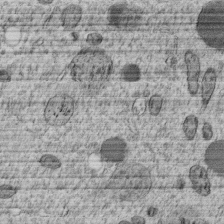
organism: C. elegans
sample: C. elegans embryo early stage